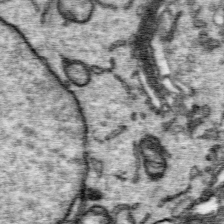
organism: Human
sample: HeLa cells